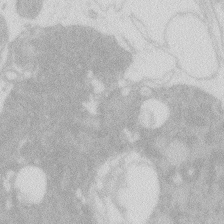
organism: Zebrafish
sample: Macrophage